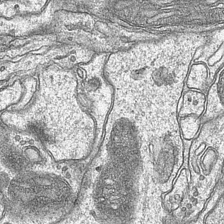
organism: Mouse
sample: CA1 Hippocampus